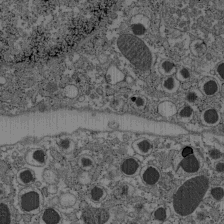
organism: C57BL Mouse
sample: Pancreatic islet